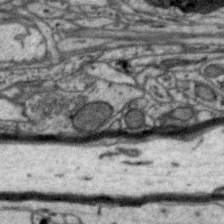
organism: Zebra finch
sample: Brain